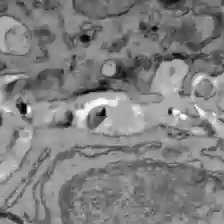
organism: C57BL Mouse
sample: Liver